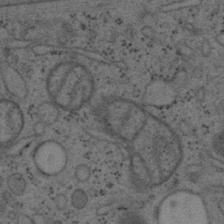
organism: Human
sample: HeLa cells